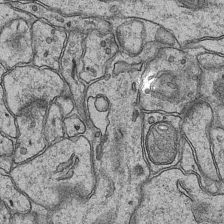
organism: Mouse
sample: CA1 Hippocampus